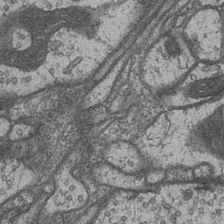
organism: Drosophila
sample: Optic medulla